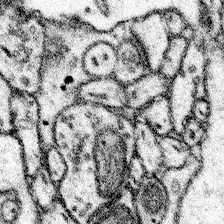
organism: Mouse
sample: Somatosensory cortex neuropil